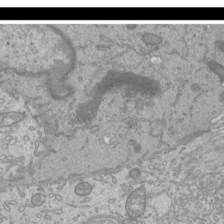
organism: Mouse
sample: Cilia; mouse epididymis